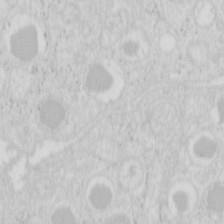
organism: Mouse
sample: Pancreas